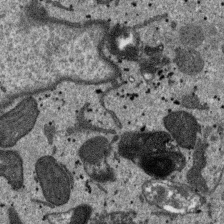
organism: Human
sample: Lung epithelial cells, uninfected (mock) control